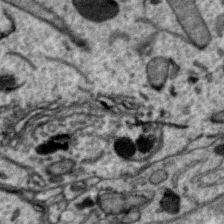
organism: Zebra finch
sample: Brain